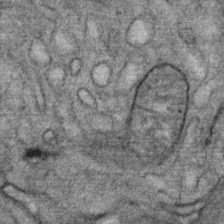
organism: Mouse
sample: Mouse Salivary gland